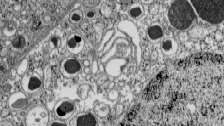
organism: C57BL Mouse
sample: Pancreatic islet